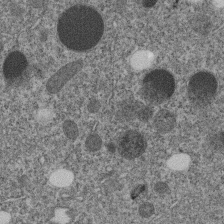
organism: C. elegans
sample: C. elegans embryo early stage